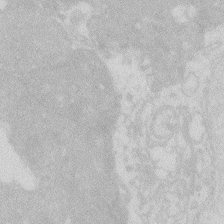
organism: Zebrafish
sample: Macrophage